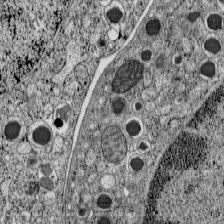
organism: C57BL Mouse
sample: Pancreatic islet